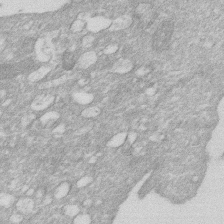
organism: Human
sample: HIV infected U937 cells